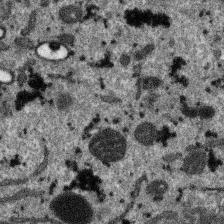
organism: Human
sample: Lung epithelial cells infected with SARS-CoV-2